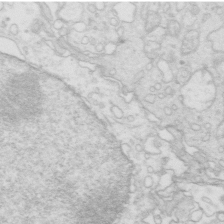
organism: Mouse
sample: Multiciliated cells